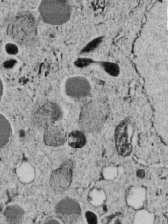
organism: C. elegans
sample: C. elegans embryo early stage